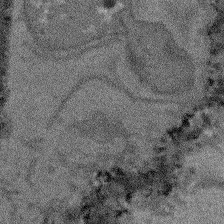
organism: Arabidopsis thaliana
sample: Root tip